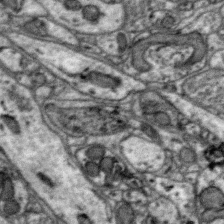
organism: Zebra finch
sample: Brain